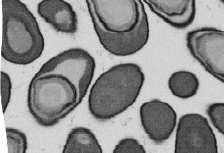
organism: B. subtilis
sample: Bacterial spore